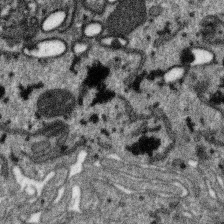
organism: Human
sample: Lung epithelial cells infected with SARS-CoV-2